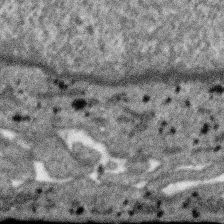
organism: Human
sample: Lung epithelial cells infected with SARS-CoV-2